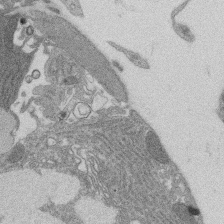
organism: Rat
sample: Salivary granule